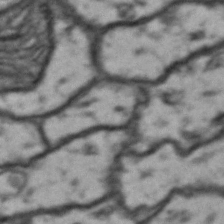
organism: Drosophila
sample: Brain